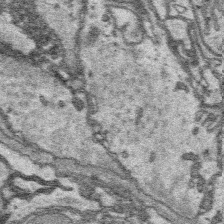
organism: Platynereis dumerilii